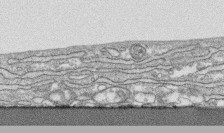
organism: Human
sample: CRL-1474